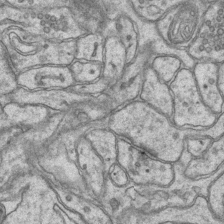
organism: Mouse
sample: CA1 Hippocampus